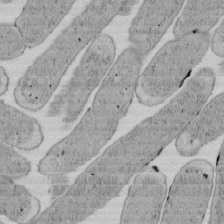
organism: E. coli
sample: Bacterial nucleoid